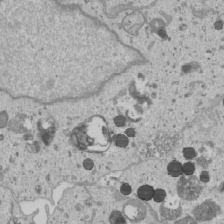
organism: Human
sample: Mitochondria in U2OS cells